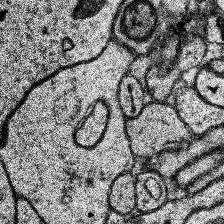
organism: Human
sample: Temporal Lobe